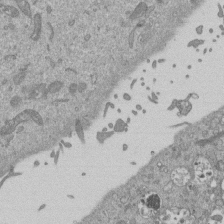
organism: Mouse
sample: ED-1 cell nuclei; centrioles